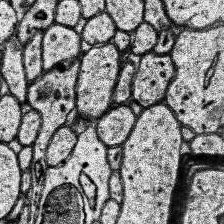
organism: Human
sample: Temporal Lobe